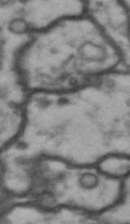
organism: Drosophila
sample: Brain